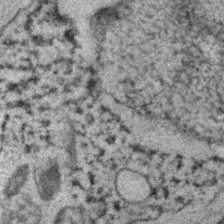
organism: C. elegans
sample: C. elegans embryo